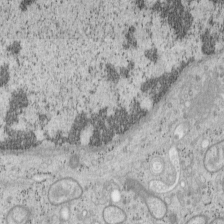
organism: Mouse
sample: OT-I killer T cells with ID8 ovarian cancer cells